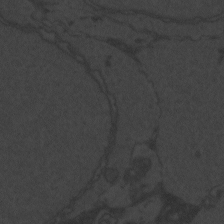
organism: Zebrafish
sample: Macrophage infected with Toxoplasma gondii